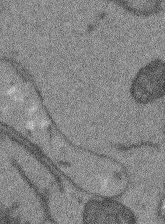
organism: Arabidopsis thaliana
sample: Root tip